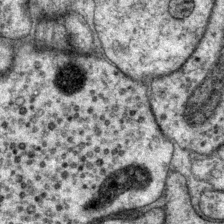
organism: P. pacificus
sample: Pharynx